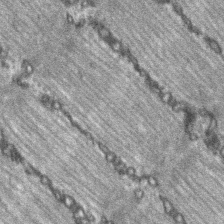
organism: C57BL Mouse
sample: Soleus